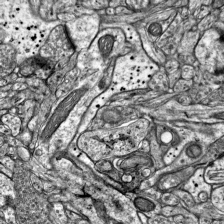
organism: Mouse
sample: Visual Cortex